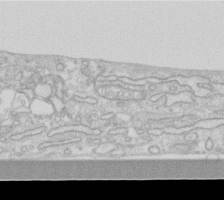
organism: Human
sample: Fibroblast cells